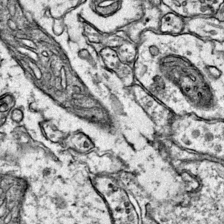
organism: Mouse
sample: Primary visual cortex